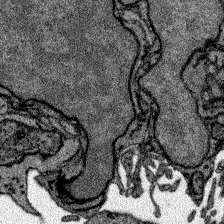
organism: Zebrafish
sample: Larval olfactory bulb